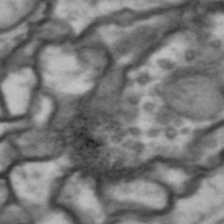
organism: Drosophila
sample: Brain